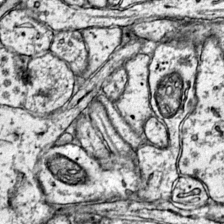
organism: Mouse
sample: Primary visual cortex